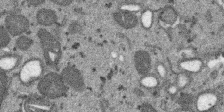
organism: Human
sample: Lung epithelial cells infected with SARS-CoV-2